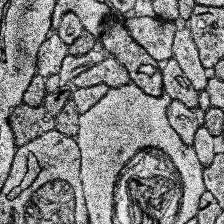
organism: Human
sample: Temporal Lobe